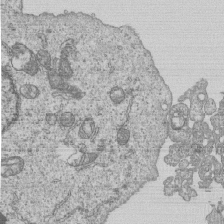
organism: Human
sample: MDA-MB-231 cells